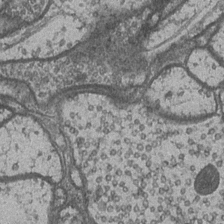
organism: Drosophila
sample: Optic medulla